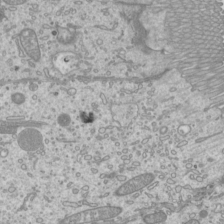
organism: Mouse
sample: Cilia; mouse epididymis